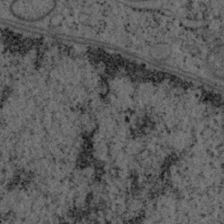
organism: Human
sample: HeLa cells